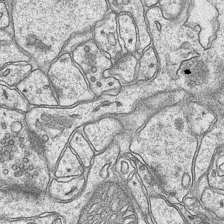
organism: Mouse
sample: CA1 Hippocampus